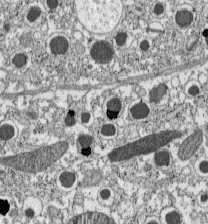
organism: C57BL Mouse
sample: Pancreatic islet